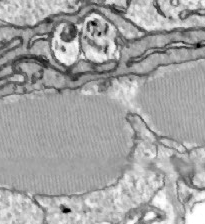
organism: Zebrafish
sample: Actinotrichia fibers